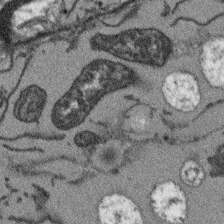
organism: Arabidopsis thaliana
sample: Root tip